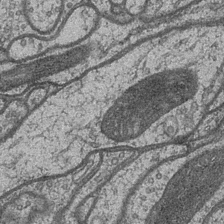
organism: Drosophila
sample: Optic medulla